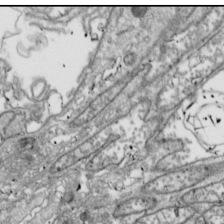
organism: Drosophila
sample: Cell division; meiosis; drosophila spermatocytes